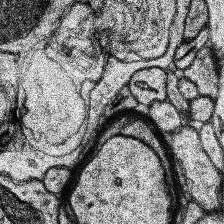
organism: Human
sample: Temporal Lobe